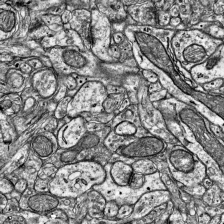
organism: Mouse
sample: Visual Cortex